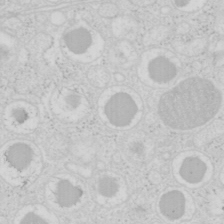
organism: Mouse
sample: Pancreas